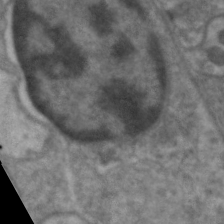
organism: C. elegans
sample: Pharynx